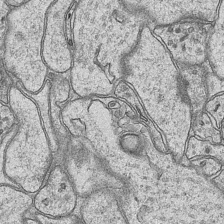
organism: Mouse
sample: CA1 Hippocampus